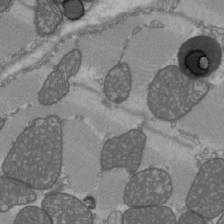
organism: C57BL Mouse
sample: Heart